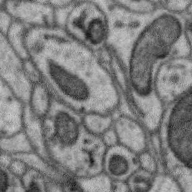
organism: Zebra finch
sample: Brain